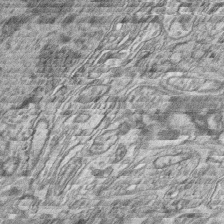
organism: Zebrafish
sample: synaptic ribbons in rod cells and cone cells